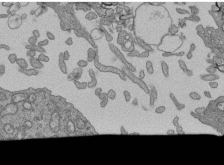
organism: Human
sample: Retinal organoid Rod and Cone cells